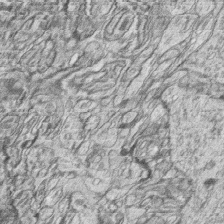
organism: Zebrafish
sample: synaptic ribbons in rod cells and cone cells